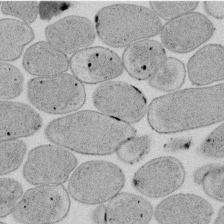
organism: E. coli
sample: Bacterial nucleoid